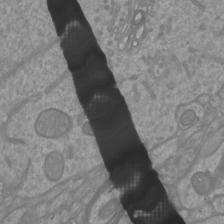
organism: Mouse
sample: Cortical neurons